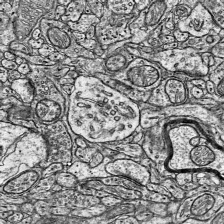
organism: Mouse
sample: Visual Cortex